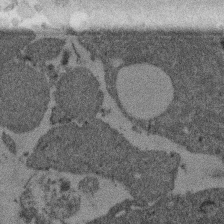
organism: Mouse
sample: Dividing mouse embryo 1 cell stage